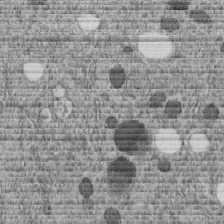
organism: C. elegans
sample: C. elegans embryo early stage